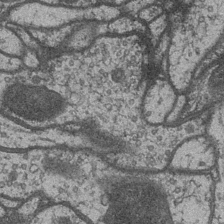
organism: Drosophila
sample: Optic medulla